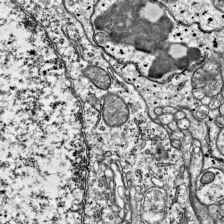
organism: Mouse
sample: Visual Cortex